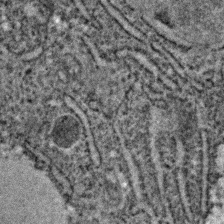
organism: C. elegans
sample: C. elegans embryo